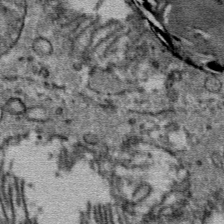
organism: Mouse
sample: Mouse Salivary gland